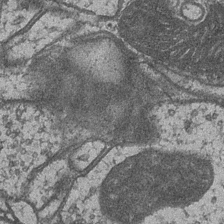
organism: Drosophila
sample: Optic medulla